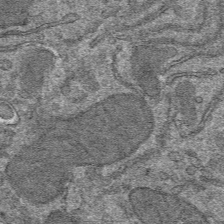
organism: Mouse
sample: Mouse hepatocytes